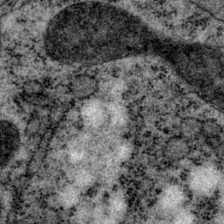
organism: P. pacificus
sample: Pharynx